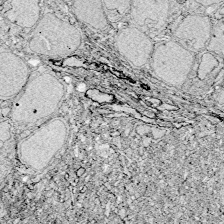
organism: Zebrafish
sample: Whole-Brain